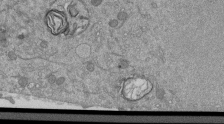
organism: Mouse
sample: ED-1 cell nuclei; centrioles